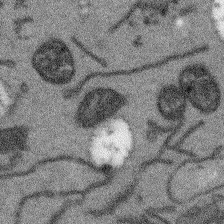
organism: Arabidopsis thaliana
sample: Root tip